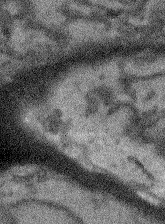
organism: Arabidopsis thaliana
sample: Root tip